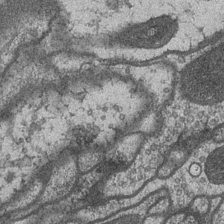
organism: Drosophila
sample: Optic medulla